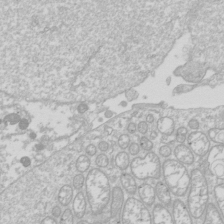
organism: Drosophila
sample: Cell division; meiosis; drosophila spermatocytes